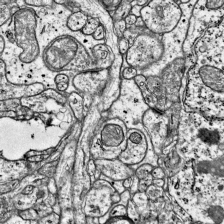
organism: Mouse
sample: Visual Cortex